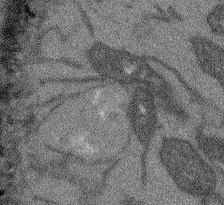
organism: Arabidopsis thaliana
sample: Root tip